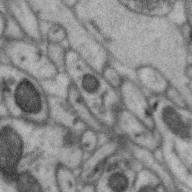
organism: Zebra finch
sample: Brain